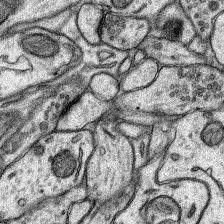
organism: Rat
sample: Hippocampus